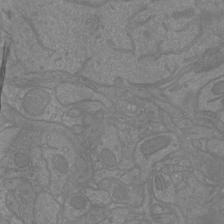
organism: Mouse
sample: Cortical neurons